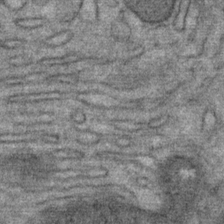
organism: Mouse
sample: Mouse Salivary gland